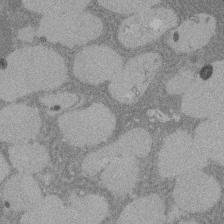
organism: Rat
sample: Salivary granule